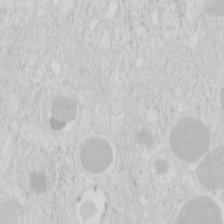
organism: Mouse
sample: Pancreas